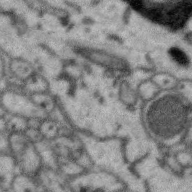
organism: Zebra finch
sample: Brain